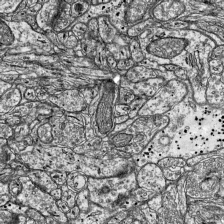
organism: Mouse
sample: Visual Cortex